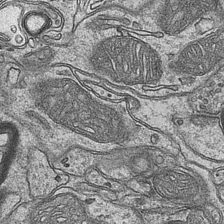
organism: Mouse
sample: CA1 Hippocampus